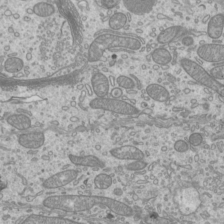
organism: Mouse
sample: Cilia; mouse epididymis